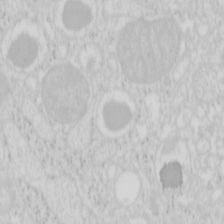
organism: Mouse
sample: Pancreas